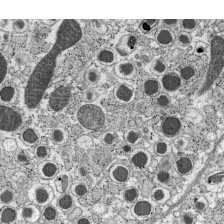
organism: C57BL Mouse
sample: Pancreatic islet